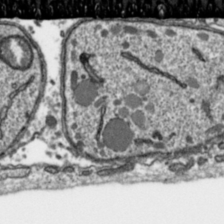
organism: Toxoplasma gondii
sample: Parasites in a vacuole inside a host cell